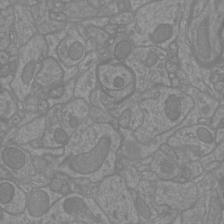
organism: Mouse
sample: Cortical neurons